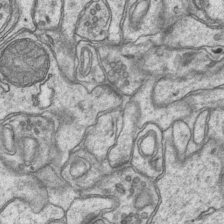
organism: Mouse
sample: CA1 Hippocampus